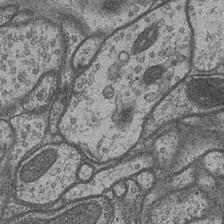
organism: Drosophila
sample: Optic medulla